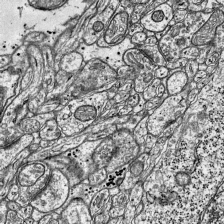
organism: Mouse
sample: Visual Cortex